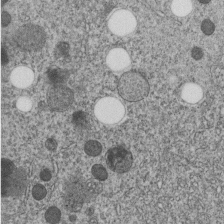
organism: C. elegans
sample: C. elegans embryo early stage